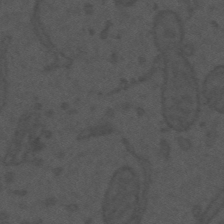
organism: Mouse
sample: Suprachiasmatic nucleus